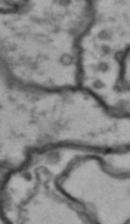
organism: Drosophila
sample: Brain